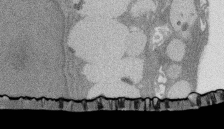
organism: Rat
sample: Salivary granule